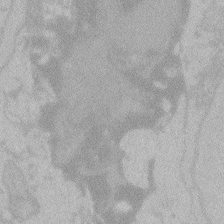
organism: Zebrafish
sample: Macrophage infected with Toxoplasma gondii